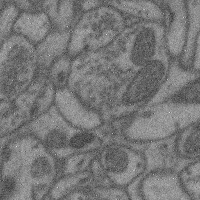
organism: Mouse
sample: Cerebral cortex